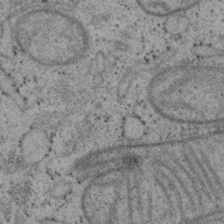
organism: Human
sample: HeLa cells